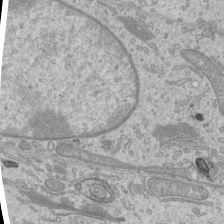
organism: Mouse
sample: Cilia; mouse epididymis